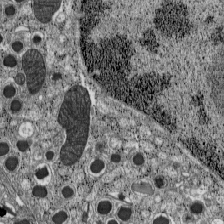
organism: C57BL Mouse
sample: Pancreatic islet